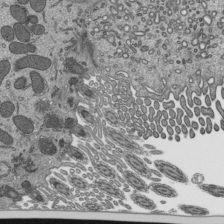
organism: Mouse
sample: Mouse epididymis efferent ductule cilia